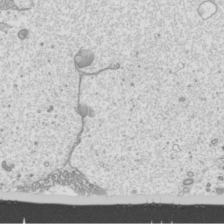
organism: Mouse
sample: Cilia; mouse epididymis